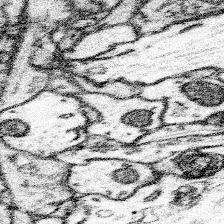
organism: Mouse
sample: Somatosensory cortex neuropil